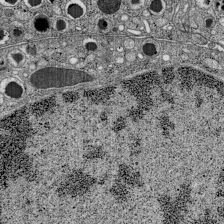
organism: C57BL Mouse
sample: Pancreatic islet